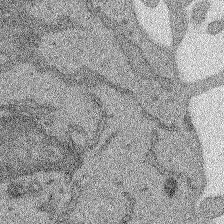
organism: Human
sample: HeLa cells